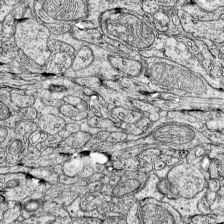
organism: Mouse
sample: Visual Cortex